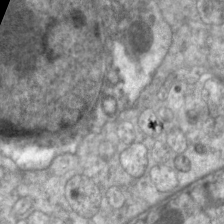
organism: C. elegans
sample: Pharynx